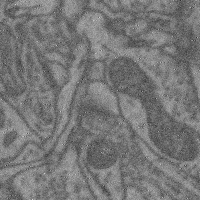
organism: Mouse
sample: Cerebral cortex